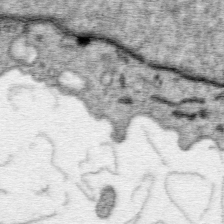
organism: Human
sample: HeLa cells